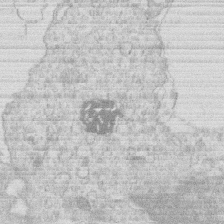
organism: Human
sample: Macrophage cells